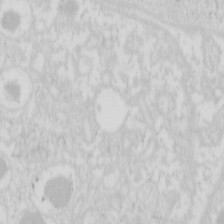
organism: Mouse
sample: Pancreas